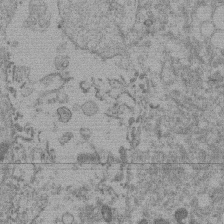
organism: Mouse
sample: Dividing mouse embryo 1 cell stage